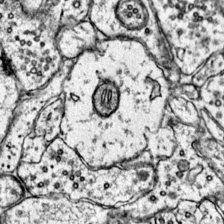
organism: Mouse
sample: Primary visual cortex